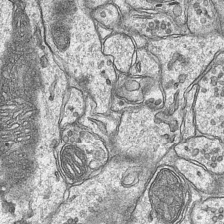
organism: Mouse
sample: CA1 Hippocampus